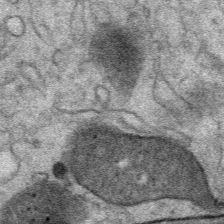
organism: Mouse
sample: Mouse Salivary gland